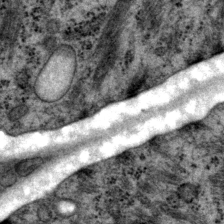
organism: P. pacificus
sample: Pharynx